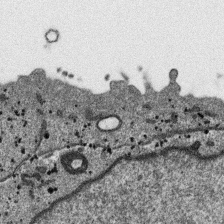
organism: Human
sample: Lung epithelial cells infected with SARS-CoV-2